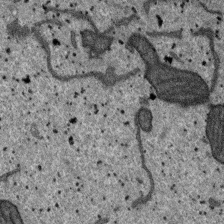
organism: Human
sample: Lung epithelial cells, uninfected (mock) control